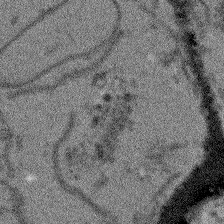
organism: Arabidopsis thaliana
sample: Root tip